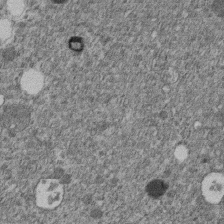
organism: C. elegans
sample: C. elegans embryo early stage